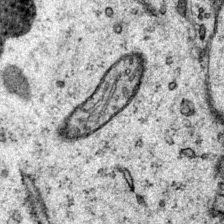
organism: Mouse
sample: Primary visual cortex